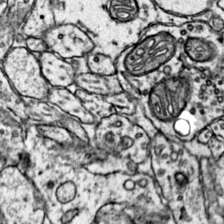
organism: Mouse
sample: Primary visual cortex